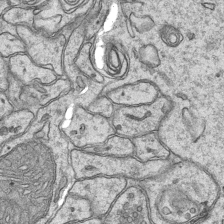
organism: Mouse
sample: CA1 Hippocampus